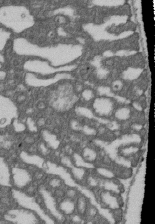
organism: Drosophila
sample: Nephrocyte